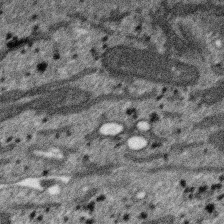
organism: Human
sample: Lung epithelial cells infected with SARS-CoV-2